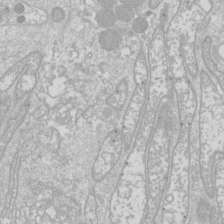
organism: Drosophila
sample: Cell division; meiosis; drosophila spermatocytes